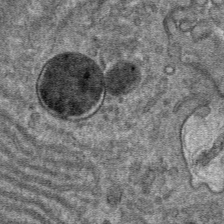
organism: Mouse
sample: Mouse hepatocytes